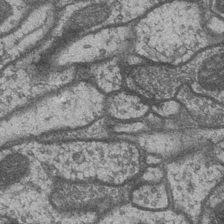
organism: Drosophila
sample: Optic medulla